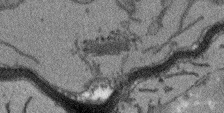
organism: Arabidopsis thaliana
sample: Root tip